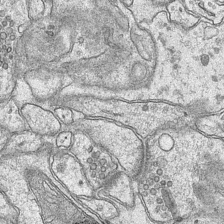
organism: Mouse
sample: CA1 Hippocampus